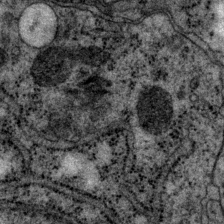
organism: P. pacificus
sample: Pharynx